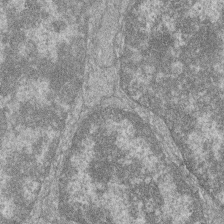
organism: Zebrafish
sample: Cilia; retinal pigment epithelium